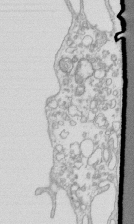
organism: Mouse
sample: Macrophages